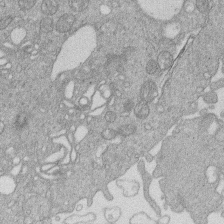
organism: Human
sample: Macrophage cells